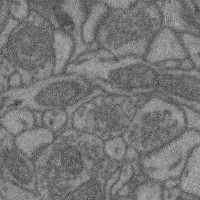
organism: Mouse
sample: Cerebral cortex